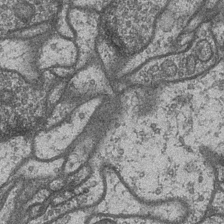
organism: Drosophila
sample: Optic medulla